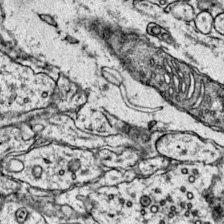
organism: Mouse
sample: Primary visual cortex